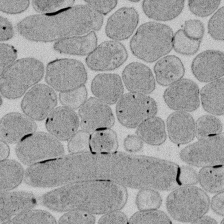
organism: E. coli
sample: Bacterial nucleoid